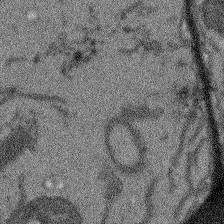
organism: Arabidopsis thaliana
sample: Root tip